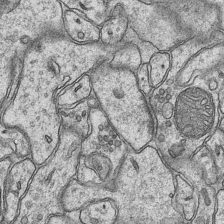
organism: Mouse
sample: CA1 Hippocampus